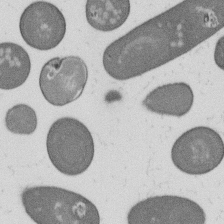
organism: B. subtilis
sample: Bacterial spore